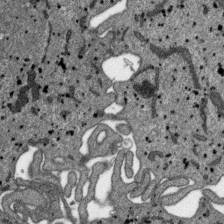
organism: Human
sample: Lung epithelial cells, uninfected (mock) control